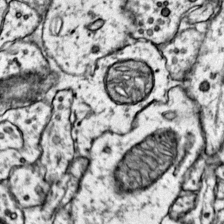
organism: Mouse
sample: Primary visual cortex